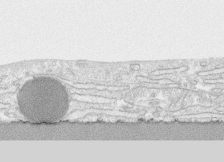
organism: Human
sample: CRL-1474